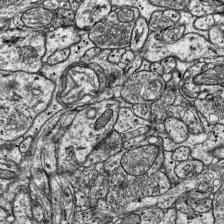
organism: Mouse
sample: Visual Cortex